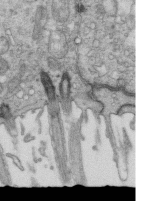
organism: Mouse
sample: Multiciliated cells